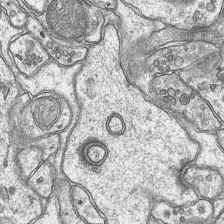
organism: Mouse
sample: CA1 Hippocampus